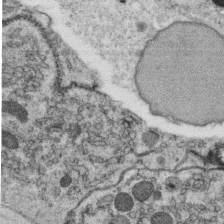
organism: C. elegans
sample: C. elegans oocyte; sperm cells